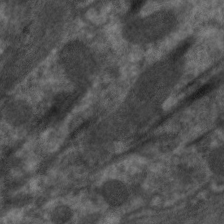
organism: C. elegans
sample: Pharynx